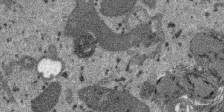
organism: Human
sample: Lung epithelial cells infected with SARS-CoV-2